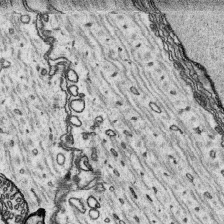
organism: Platynereis dumerilii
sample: Parapodia